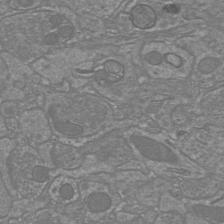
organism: Mouse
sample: Cortical neurons